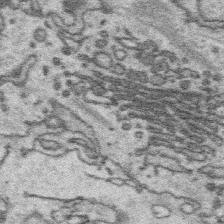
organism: Platynereis dumerilii